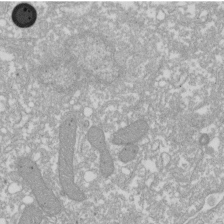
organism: Xenopus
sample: Cilia; centrioles in frog embryo cells